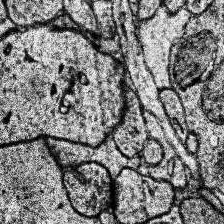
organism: Human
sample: Temporal Lobe